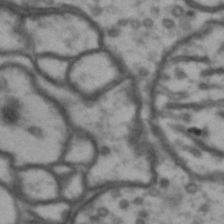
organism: Drosophila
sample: Brain